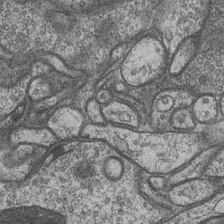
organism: Drosophila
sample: Optic medulla